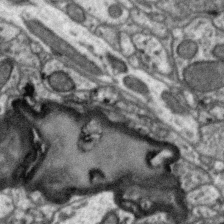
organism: Zebra finch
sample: Brain